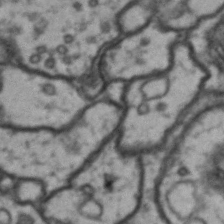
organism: Drosophila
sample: Brain